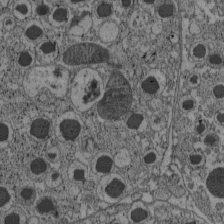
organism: C57BL Mouse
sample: Pancreatic islet